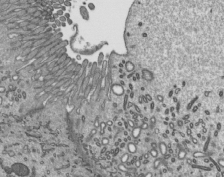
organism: Mouse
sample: Mouse epididymis efferent ductule cilia